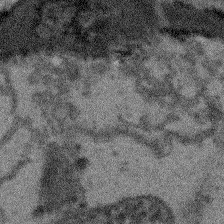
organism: Arabidopsis thaliana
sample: Root tip